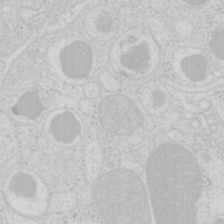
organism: Mouse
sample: Pancreas